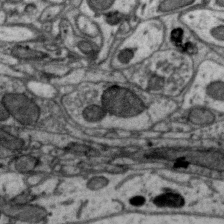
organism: Zebra finch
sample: Brain